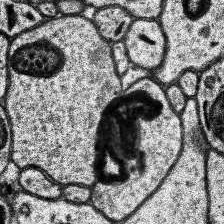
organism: Human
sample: Temporal Lobe